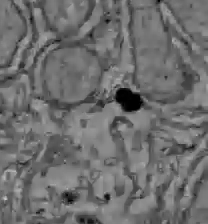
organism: C57BL Mouse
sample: Liver